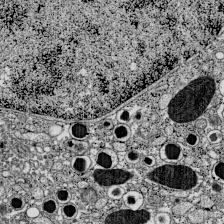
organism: C57BL Mouse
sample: Pancreatic islet